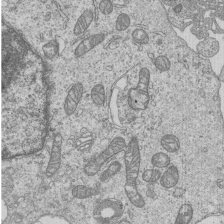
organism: Human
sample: MDA-MB-231 cells